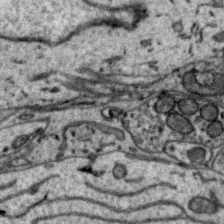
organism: Zebra finch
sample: Brain